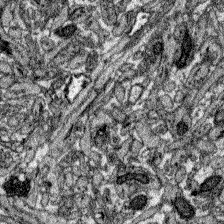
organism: Zebrafish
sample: Larval olfactory bulb